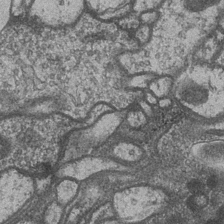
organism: Drosophila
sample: Optic medulla